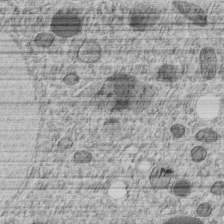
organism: C. elegans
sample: C. elegans embryo early stage